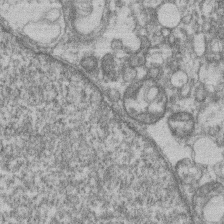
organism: Mouse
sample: T cell stromal cell synapse